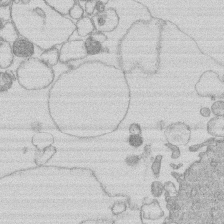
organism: Human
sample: Macrophage cells